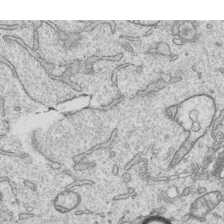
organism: Human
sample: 1205lu cells